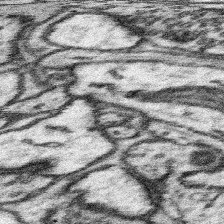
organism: Mouse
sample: Somatosensory cortex neuropil